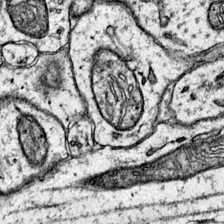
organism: Mouse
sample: Primary visual cortex